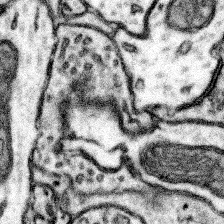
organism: Mouse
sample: Somatosensory cortex neuropil